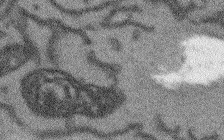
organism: Arabidopsis thaliana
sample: Root tip